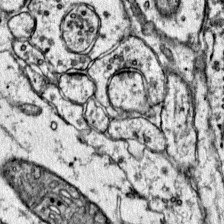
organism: Mouse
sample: Primary visual cortex